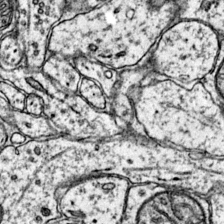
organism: Mouse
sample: Primary visual cortex